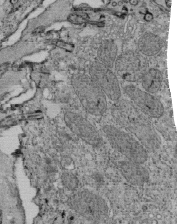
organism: Tetrahymena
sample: Cilia in tetrahymena